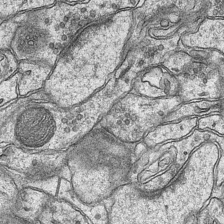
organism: Mouse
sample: CA1 Hippocampus